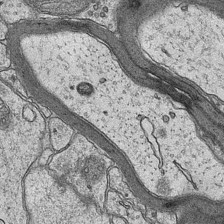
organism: Mouse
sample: CA1 Hippocampus